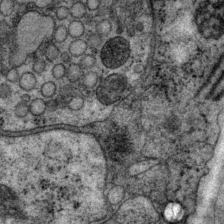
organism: P. pacificus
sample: Pharynx